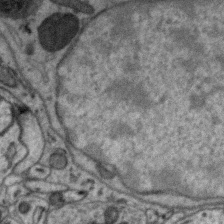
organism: Zebra finch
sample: Brain